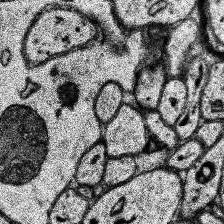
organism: Human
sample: Temporal Lobe